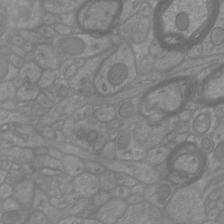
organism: Mouse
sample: Cortical neurons